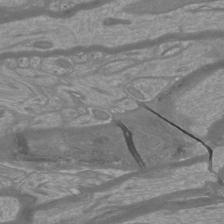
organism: Mouse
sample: Cortical neurons